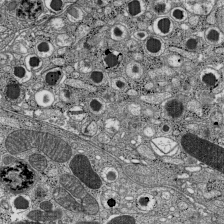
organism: C57BL Mouse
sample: Pancreatic islet